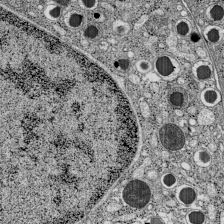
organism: C57BL Mouse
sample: Pancreatic islet